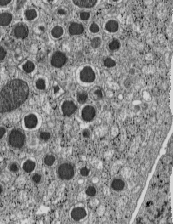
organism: C57BL Mouse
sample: Pancreatic islet